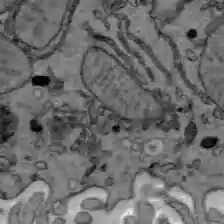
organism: C57BL Mouse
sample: Liver